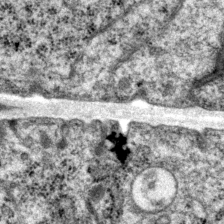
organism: P. pacificus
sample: Pharynx